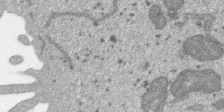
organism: Human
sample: Lung epithelial cells infected with SARS-CoV-2